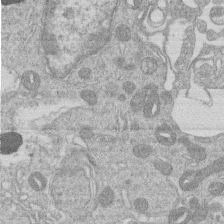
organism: Human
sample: Macrophage cells